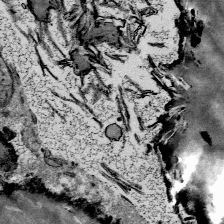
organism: Mouse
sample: Mouse Salivary gland